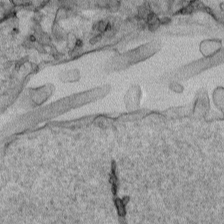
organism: Human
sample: Mitochondria in HCT116 cells